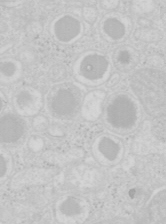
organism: Mouse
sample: Pancreas